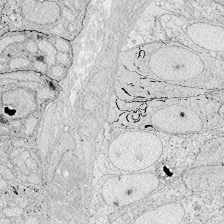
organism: Zebrafish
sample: Whole-Brain